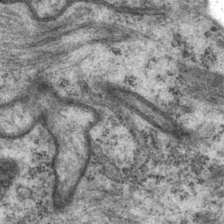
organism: P. pacificus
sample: Pharynx